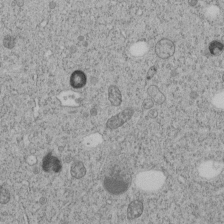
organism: C. elegans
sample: C. elegans embryo early stage